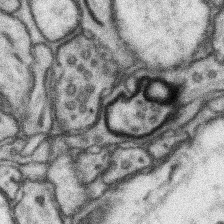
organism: Mouse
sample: Somatosensory cortex neuropil